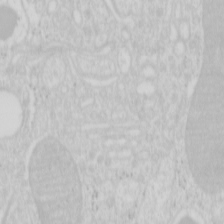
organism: Mouse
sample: Pancreas